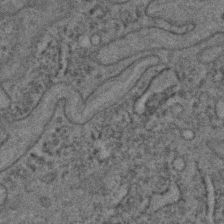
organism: C. elegans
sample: C. elegans embryo